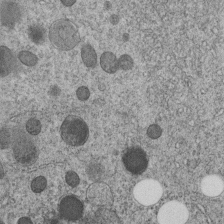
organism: C. elegans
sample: C. elegans embryo early stage